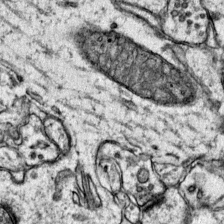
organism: Mouse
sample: Primary visual cortex